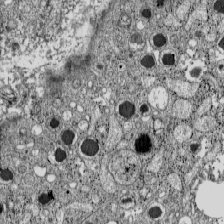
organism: C57BL Mouse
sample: Pancreatic islet